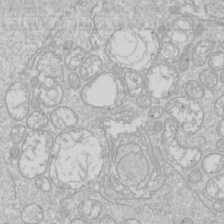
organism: Drosophila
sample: Cell division; meiosis; drosophila spermatocytes